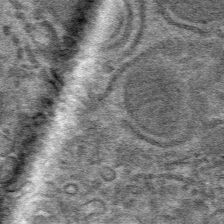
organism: Mouse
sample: Mouse hepatocytes